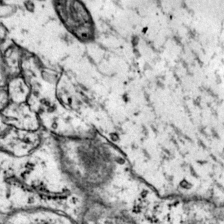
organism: Mouse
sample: Primary visual cortex